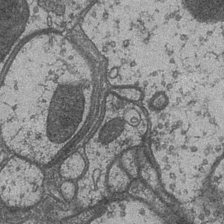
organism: Drosophila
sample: Optic medulla